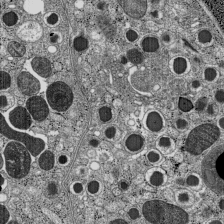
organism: C57BL Mouse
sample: Pancreatic islet